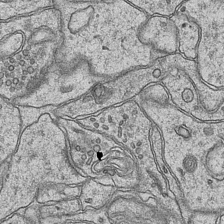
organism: Mouse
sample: CA1 Hippocampus